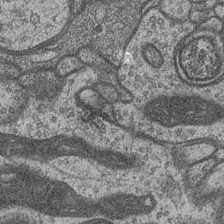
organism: Drosophila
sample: Optic medulla